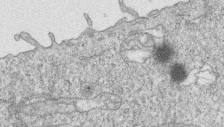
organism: Human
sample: HeLa cell HIV synapse